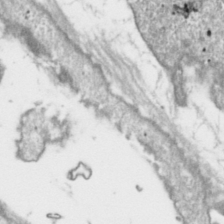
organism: Toxoplasma gondii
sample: Parasites in a vacuole inside a host cell